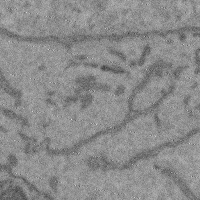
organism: Mouse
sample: Cerebral cortex